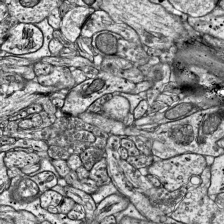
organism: Mouse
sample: Visual Cortex